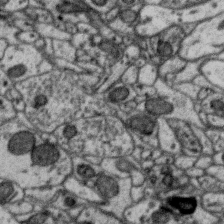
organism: Zebra finch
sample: Brain